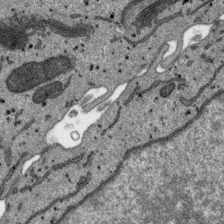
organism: Human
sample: Lung epithelial cells, uninfected (mock) control